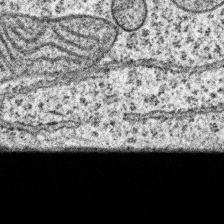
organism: Human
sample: HeLa cells